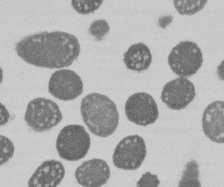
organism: E. coli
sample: Bacterial nucleoid